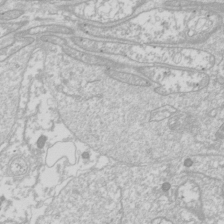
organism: Drosophila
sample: Cell division; meiosis; drosophila spermatocytes